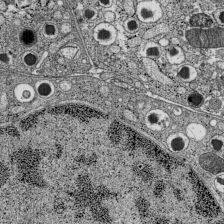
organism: C57BL Mouse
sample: Pancreatic islet